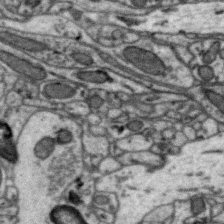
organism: Zebra finch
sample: Brain